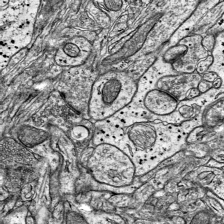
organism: Mouse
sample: Visual Cortex